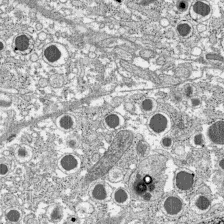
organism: C57BL Mouse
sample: Pancreatic islet